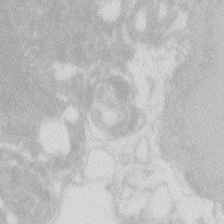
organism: Zebrafish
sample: Macrophage